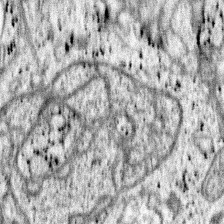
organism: Human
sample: HeLa cells